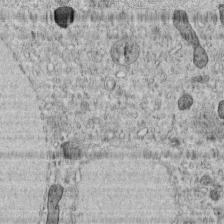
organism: C. elegans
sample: C. elegans embryo early stage